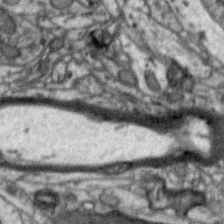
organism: Zebra finch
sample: Brain